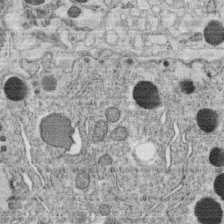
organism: C. elegans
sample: C. elegans oocyte; sperm cells